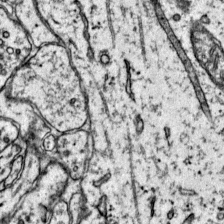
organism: Mouse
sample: Primary visual cortex